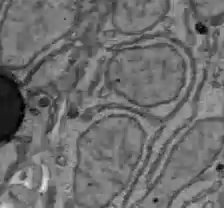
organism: C57BL Mouse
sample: Liver